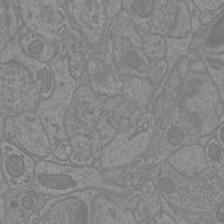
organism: Mouse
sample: Cortical neurons